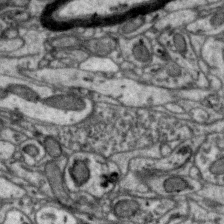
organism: Zebra finch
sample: Brain